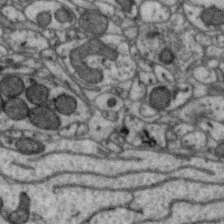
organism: Zebra finch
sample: Brain